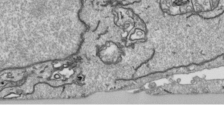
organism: Human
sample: Mitochondria in HCT116 cells